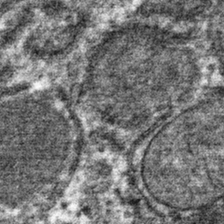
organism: Mouse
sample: Mouse hepatocytes